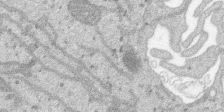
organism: Human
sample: Lung epithelial cells infected with SARS-CoV-2